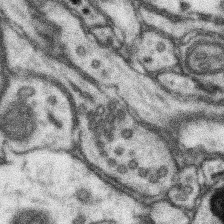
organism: Mouse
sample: Somatosensory cortex neuropil